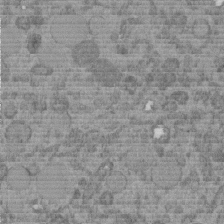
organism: C. elegans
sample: C. elegans embryo early stage